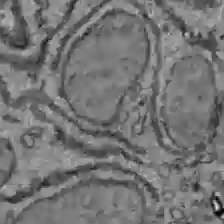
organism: C57BL Mouse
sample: Liver